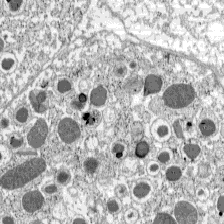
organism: C57BL Mouse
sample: Pancreatic islet